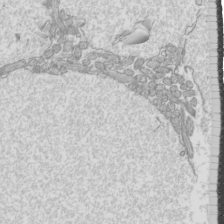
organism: Mouse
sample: Cilia; mouse epididymis